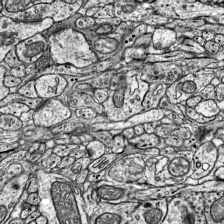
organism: Mouse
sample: Visual Cortex